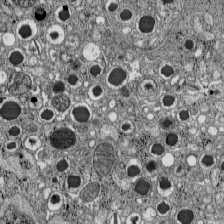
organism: C57BL Mouse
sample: Pancreatic islet